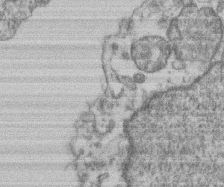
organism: Mouse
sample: T cell stromal cell synapse